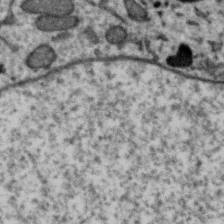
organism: Zebra finch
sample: Brain